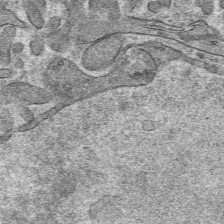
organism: Mouse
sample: Mouse hepatocytes